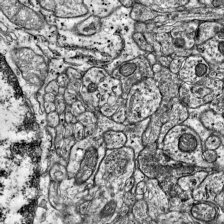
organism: Mouse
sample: Visual Cortex